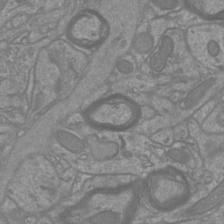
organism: Mouse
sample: Cortical neurons